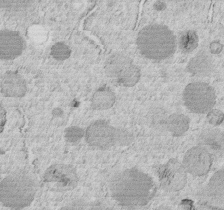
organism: C. elegans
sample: C. elegans embryo early stage